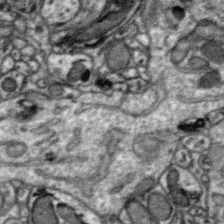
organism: Zebra finch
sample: Brain